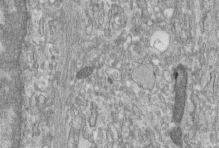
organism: Human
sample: Centriole in fibroblast cells